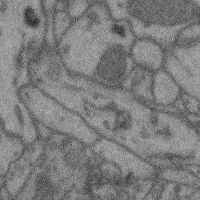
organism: Mouse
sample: Cerebral cortex